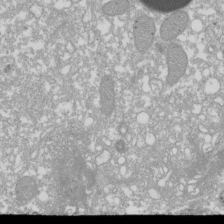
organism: Xenopus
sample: Cilia; centrioles in frog embryo cells